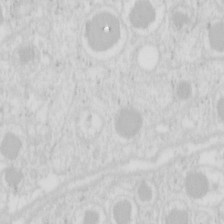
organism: Mouse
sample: Pancreas